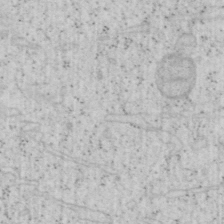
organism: Human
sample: HeLa cells